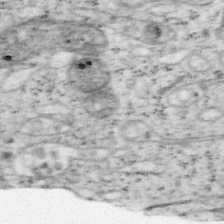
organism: Mouse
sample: OT-I killer T cells with ID8 ovarian cancer cells